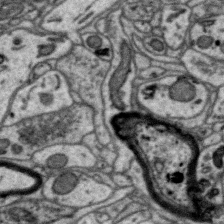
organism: Zebra finch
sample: Brain